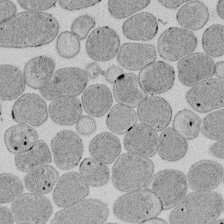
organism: E. coli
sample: Bacterial nucleoid